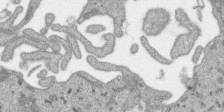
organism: Human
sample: Lung epithelial cells infected with SARS-CoV-2